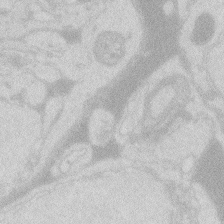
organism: Zebrafish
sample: Macrophage